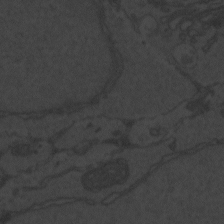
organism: Zebrafish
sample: Macrophage infected with Toxoplasma gondii